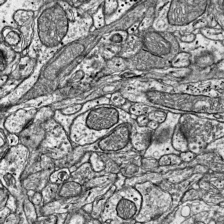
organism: Mouse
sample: Visual Cortex